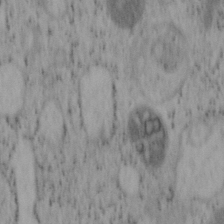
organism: Mouse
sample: OT-I killer T cells with ID8 ovarian cancer cells